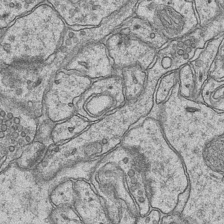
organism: Mouse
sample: CA1 Hippocampus